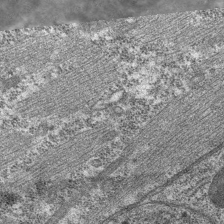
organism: C. elegans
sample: Pharynx